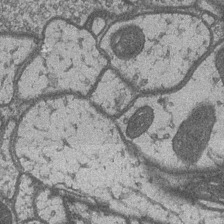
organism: Drosophila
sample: Optic medulla